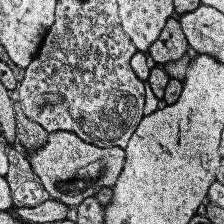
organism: Human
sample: Temporal Lobe